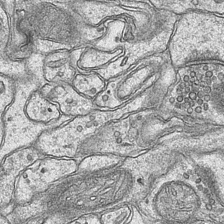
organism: Mouse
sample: CA1 Hippocampus